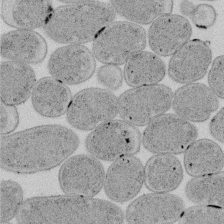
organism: E. coli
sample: Bacterial nucleoid